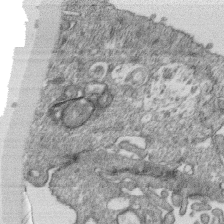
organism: African green monkey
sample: Vero E6 cells infected with SARS-CoV-2